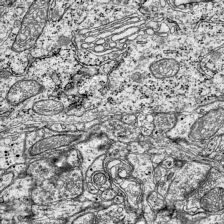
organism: Mouse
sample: Visual Cortex